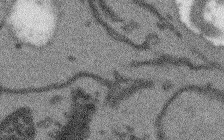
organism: Arabidopsis thaliana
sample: Root tip